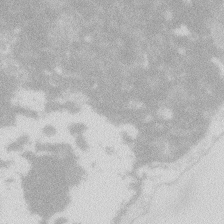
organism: Zebrafish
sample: Macrophage